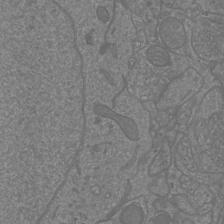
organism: Mouse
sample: Cortical neurons